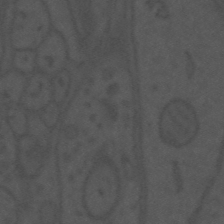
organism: Mouse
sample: Suprachiasmatic nucleus